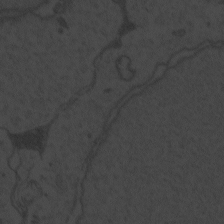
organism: Zebrafish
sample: Macrophage infected with Toxoplasma gondii